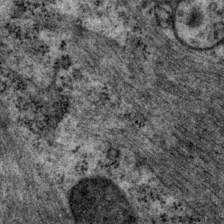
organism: P. pacificus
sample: Pharynx